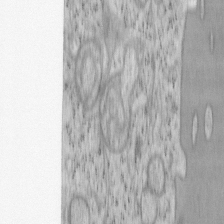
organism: Human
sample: HeLa cells